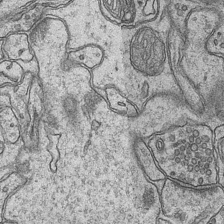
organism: Mouse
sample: CA1 Hippocampus